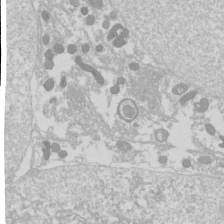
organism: Drosophila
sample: Cell division; meiosis; drosophila spermatocytes